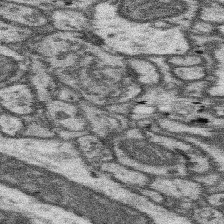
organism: Mouse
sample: Somatosensory cortex neuropil